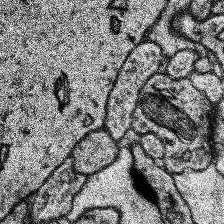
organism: Human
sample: Temporal Lobe